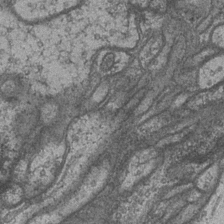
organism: Drosophila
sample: Optic medulla